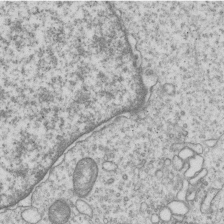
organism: Human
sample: MDA-MB-231 cells